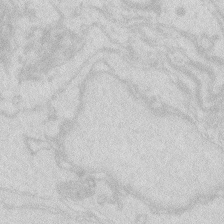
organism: Zebrafish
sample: Macrophage